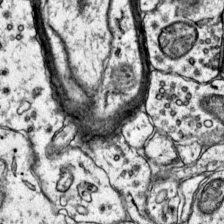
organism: Mouse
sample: Primary visual cortex